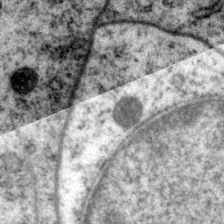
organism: P. pacificus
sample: Pharynx